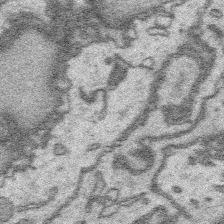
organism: Platynereis dumerilii